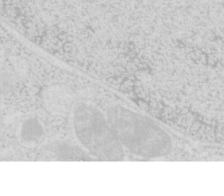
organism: Mouse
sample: Pancreas